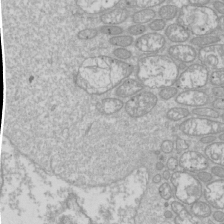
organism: Drosophila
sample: Cell division; meiosis; drosophila spermatocytes